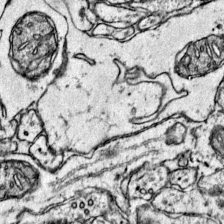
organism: Mouse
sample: Primary visual cortex